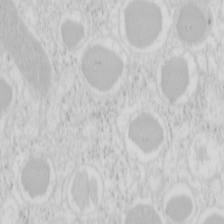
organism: Mouse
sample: Pancreas